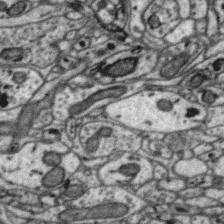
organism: Zebra finch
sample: Brain